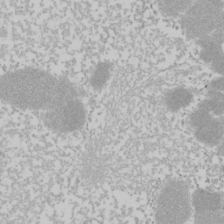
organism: Mouse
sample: Cancer cell death in ED-1 cells